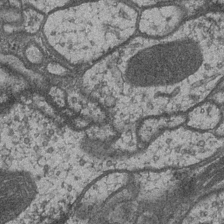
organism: Drosophila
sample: Optic medulla